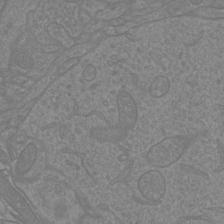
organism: Mouse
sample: Cortical neurons